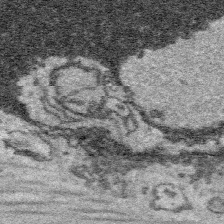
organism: Platynereis dumerilii